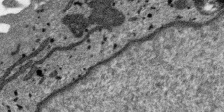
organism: Human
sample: Lung epithelial cells, uninfected (mock) control